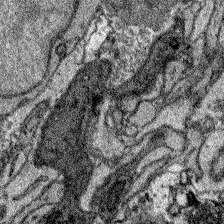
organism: Zebrafish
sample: Larval olfactory bulb